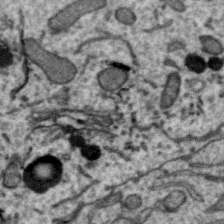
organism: Zebra finch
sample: Brain